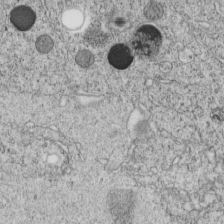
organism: C. elegans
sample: C. elegans embryo early stage